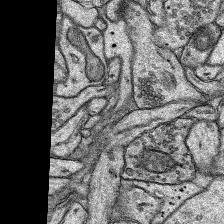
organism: Rat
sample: Hippocampus